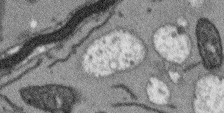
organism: Arabidopsis thaliana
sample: Root tip